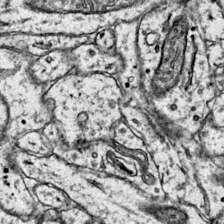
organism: Mouse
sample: Primary visual cortex